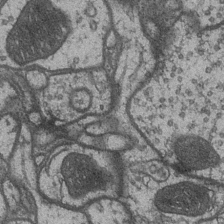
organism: Drosophila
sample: Optic medulla